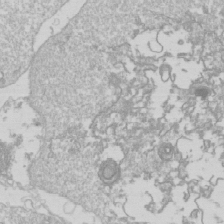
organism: Drosophila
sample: Cell division; meiosis; drosophila spermatocytes